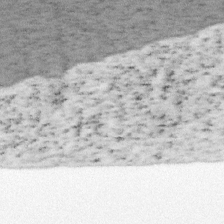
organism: Mouse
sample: OT-I killer T cells with ID8 ovarian cancer cells